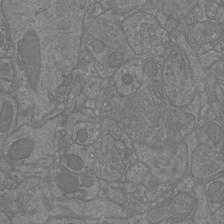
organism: Mouse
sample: Cortical neurons